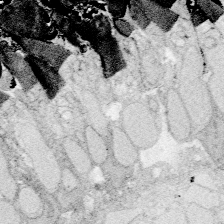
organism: Zebrafish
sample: Whole-Brain